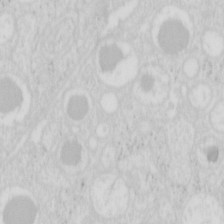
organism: Mouse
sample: Pancreas